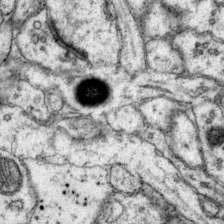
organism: Mouse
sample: Primary visual cortex